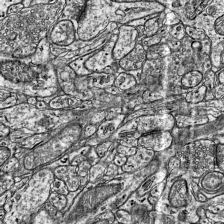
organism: Mouse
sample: Visual Cortex